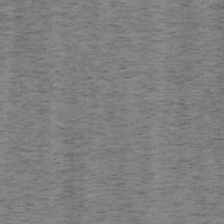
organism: Mouse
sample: OT-I killer T cells with ID8 ovarian cancer cells